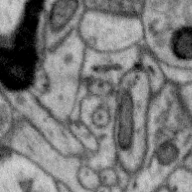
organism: Zebra finch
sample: Brain